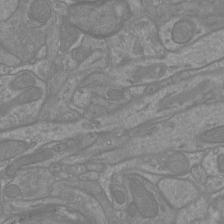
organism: Mouse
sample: Cortical neurons